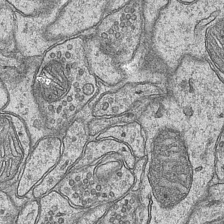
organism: Mouse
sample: CA1 Hippocampus